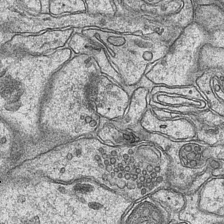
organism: Mouse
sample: CA1 Hippocampus